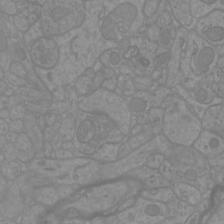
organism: Mouse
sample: Cortical neurons